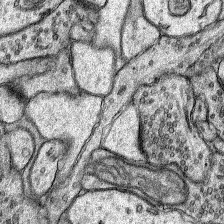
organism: Rat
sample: Hippocampus